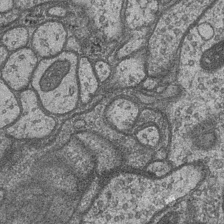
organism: Drosophila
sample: Optic medulla